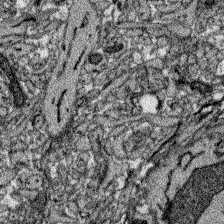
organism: Zebrafish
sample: Larval olfactory bulb